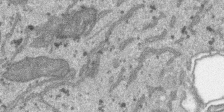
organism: Human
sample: Lung epithelial cells infected with SARS-CoV-2